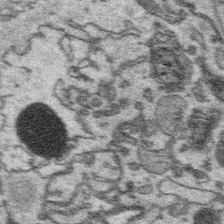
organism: Platynereis dumerilii